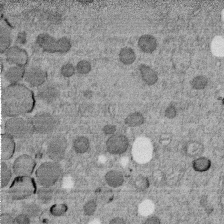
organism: C. elegans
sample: C. elegans embryo early stage